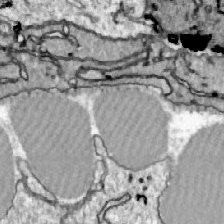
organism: Zebrafish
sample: Actinotrichia fibers